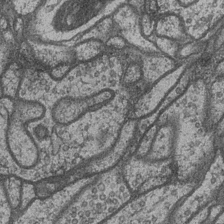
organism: Drosophila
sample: Optic medulla